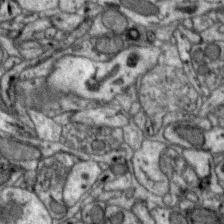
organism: Zebra finch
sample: Brain